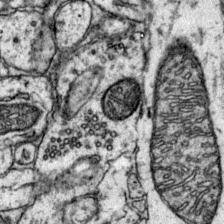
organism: Mouse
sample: Primary visual cortex